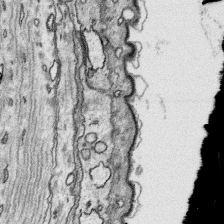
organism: Platynereis dumerilii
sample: Parapodia